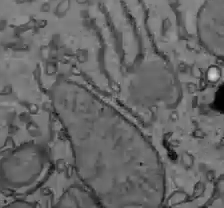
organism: C57BL Mouse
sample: Liver